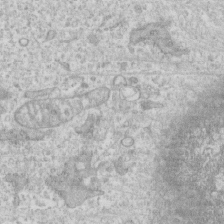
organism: Human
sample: CRL-1474